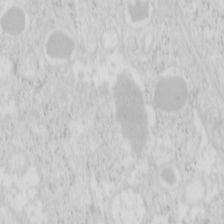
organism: Mouse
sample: Pancreas